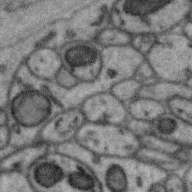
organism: Zebra finch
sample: Brain